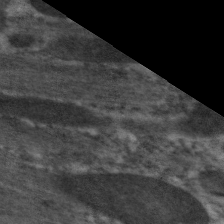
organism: C. elegans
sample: Pharynx